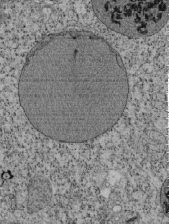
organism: Tetrahymena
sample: Cilia in tetrahymena